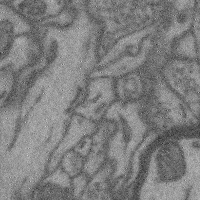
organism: Mouse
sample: Cerebral cortex